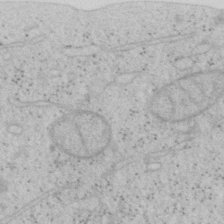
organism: Human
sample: HeLa cells